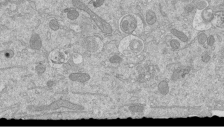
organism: Mouse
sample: ED-1 cell nuclei; centrioles